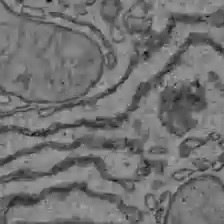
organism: C57BL Mouse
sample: Liver